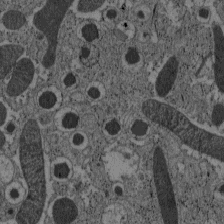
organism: C57BL Mouse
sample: Pancreatic islet